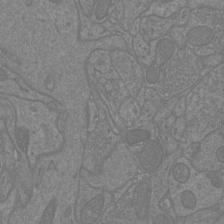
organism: Mouse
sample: Cortical neurons